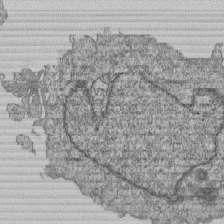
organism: Human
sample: MDA-MB-231 cells